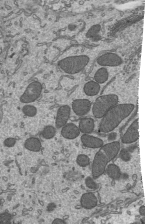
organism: Mouse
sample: Mouse epididymis efferent ductule cilia